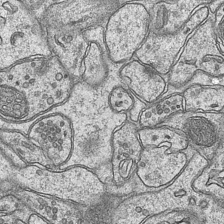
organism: Mouse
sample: CA1 Hippocampus